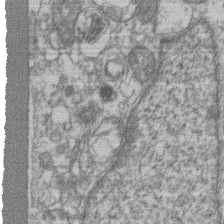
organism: Mouse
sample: T cell stromal cell synapse